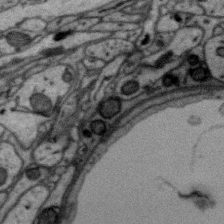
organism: Zebra finch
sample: Brain